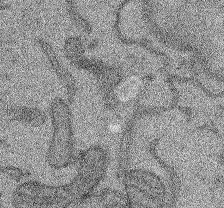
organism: Human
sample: HeLa cells